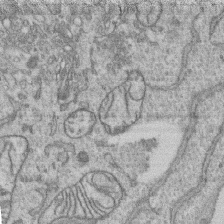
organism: Human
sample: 1205lu cells